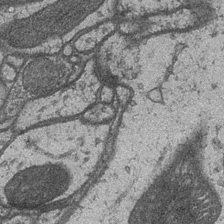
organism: Drosophila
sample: Optic medulla